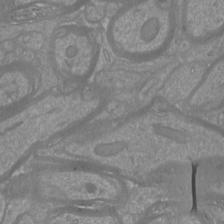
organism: Mouse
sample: Cortical neurons